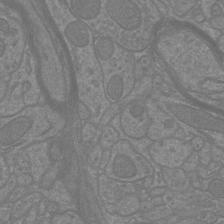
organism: Mouse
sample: Cortical neurons